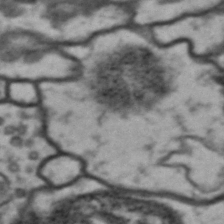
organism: Drosophila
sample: Brain